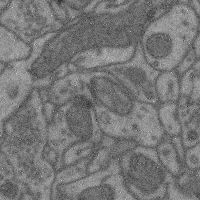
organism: Mouse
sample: Cerebral cortex